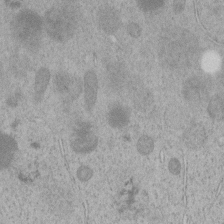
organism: C. elegans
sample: C. elegans embryo early stage